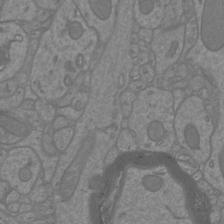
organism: Mouse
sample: Cortical neurons